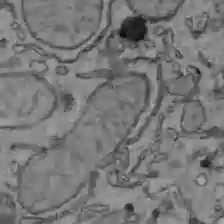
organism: C57BL Mouse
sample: Liver